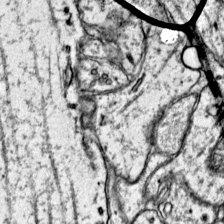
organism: Mouse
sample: Primary visual cortex